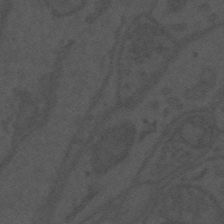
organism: Mouse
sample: Suprachiasmatic nucleus